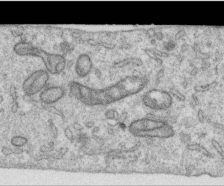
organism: Human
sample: Centriole in RPE cells